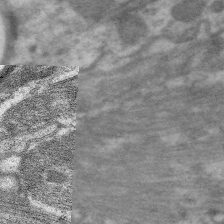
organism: C. elegans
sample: Pharynx